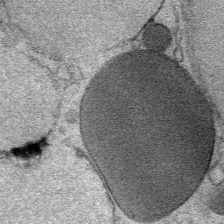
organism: Mouse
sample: Mouse Salivary gland